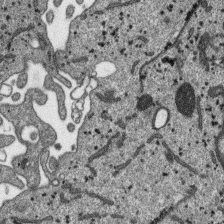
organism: Human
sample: Lung epithelial cells infected with SARS-CoV-2